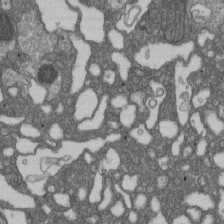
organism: Drosophila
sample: Nephrocyte